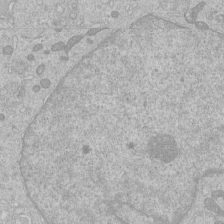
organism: Human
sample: Macrophage cells